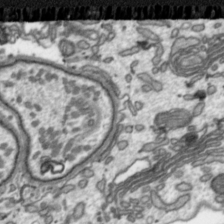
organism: Toxoplasma gondii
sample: Parasites in a vacuole inside a host cell